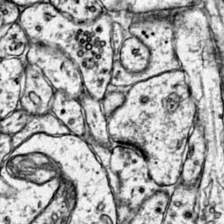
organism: Mouse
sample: Primary visual cortex